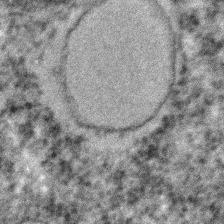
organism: C. elegans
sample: C. elegans embryo